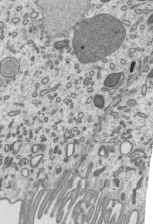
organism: Mouse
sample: Mouse epididymis efferent ductule cilia